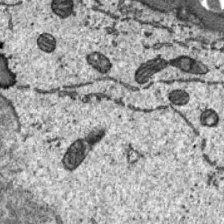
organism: Human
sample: HeLa cells